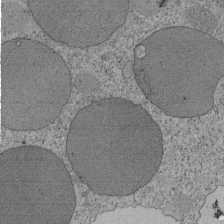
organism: Tetrahymena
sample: Cilia in tetrahymena